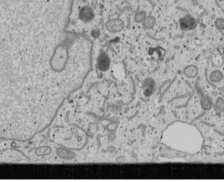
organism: Human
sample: Mitochondria in U2OS cells